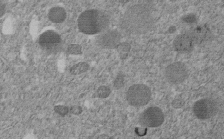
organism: C. elegans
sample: C. elegans embryo early stage